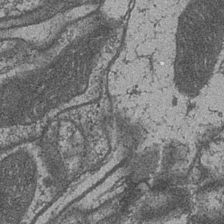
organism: Drosophila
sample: Optic medulla